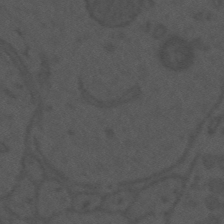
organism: Mouse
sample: Suprachiasmatic nucleus